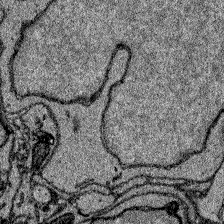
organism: Zebrafish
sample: Larval olfactory bulb